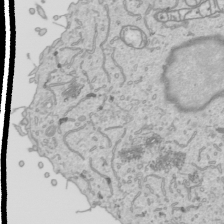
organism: Human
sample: Mitochondria in HCT116 cells